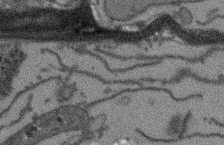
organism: Arabidopsis thaliana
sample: Root tip